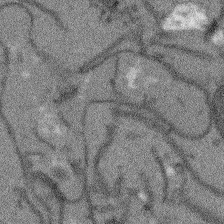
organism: Arabidopsis thaliana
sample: Root tip